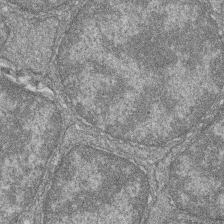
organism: Zebrafish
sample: Cilia; retinal pigment epithelium